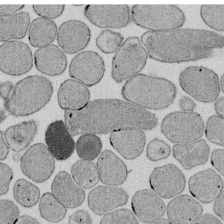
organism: E. coli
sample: Bacterial nucleoid